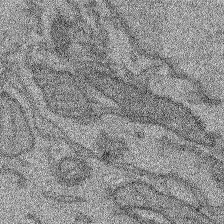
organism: Human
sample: HeLa cells